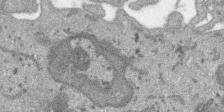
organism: Human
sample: Lung epithelial cells infected with SARS-CoV-2